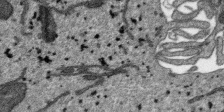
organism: Human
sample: Lung epithelial cells, uninfected (mock) control